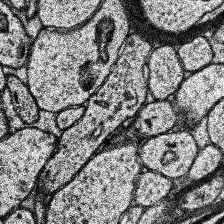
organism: Human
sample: Temporal Lobe